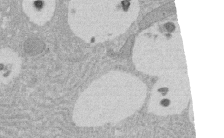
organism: Rat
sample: Salivary granule